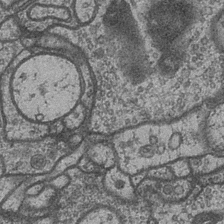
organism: Drosophila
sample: Optic medulla